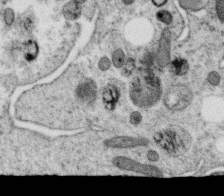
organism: C. elegans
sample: C. elegans oocyte; sperm cells